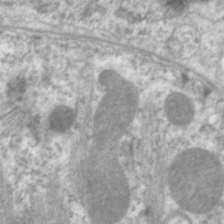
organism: C. elegans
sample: Pharynx